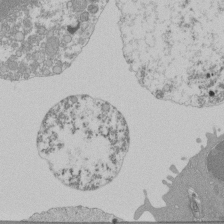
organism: Mouse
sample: Activated Pmel transgenic CD8+ T Cells